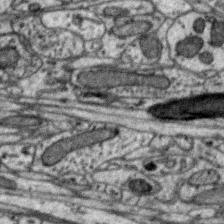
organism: Zebra finch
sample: Brain